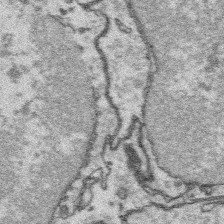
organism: Platynereis dumerilii